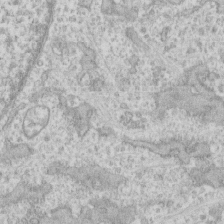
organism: Human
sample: CRL-1474